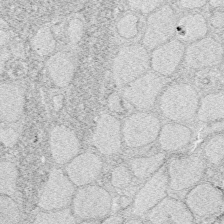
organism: Zebrafish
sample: Whole-Brain